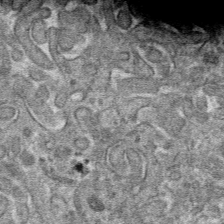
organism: Mouse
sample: Mouse hepatocytes